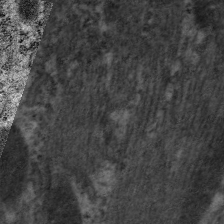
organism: C. elegans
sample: Pharynx